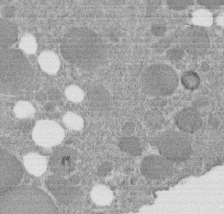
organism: C. elegans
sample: C. elegans embryo early stage